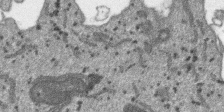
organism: Human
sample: Lung epithelial cells infected with SARS-CoV-2